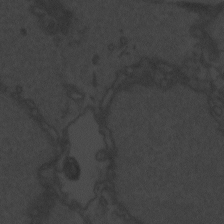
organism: Zebrafish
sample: Macrophage infected with Toxoplasma gondii